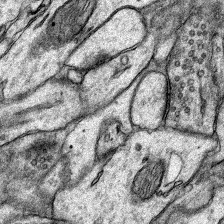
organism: Rat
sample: Hippocampus